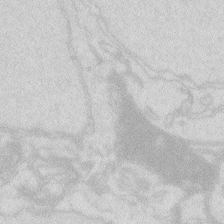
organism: Zebrafish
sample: Macrophage